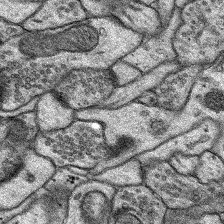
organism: Rat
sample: Hippocampus